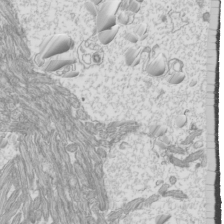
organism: Mouse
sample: Cilia; mouse epididymis